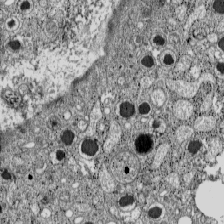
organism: C57BL Mouse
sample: Pancreatic islet